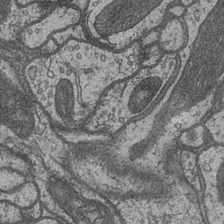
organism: Drosophila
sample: Optic medulla